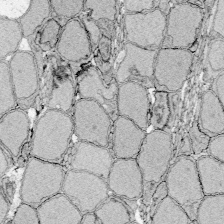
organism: Zebrafish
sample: Whole-Brain